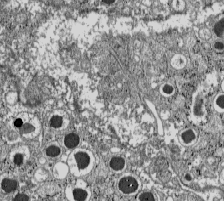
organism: C57BL Mouse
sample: Pancreatic islet